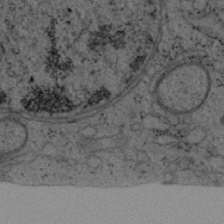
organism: Human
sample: HeLa cells